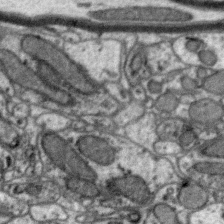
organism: Zebra finch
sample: Brain